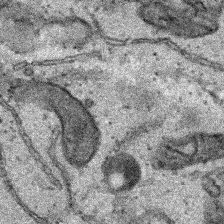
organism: Human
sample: Mitochondria in HCT116 cells